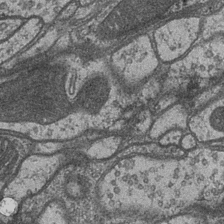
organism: Drosophila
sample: Optic medulla